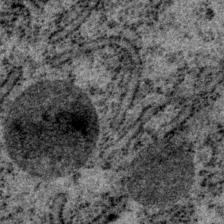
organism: P. pacificus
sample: Pharynx